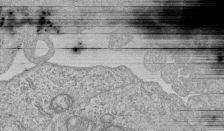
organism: Human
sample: MDA-MB-231 cells